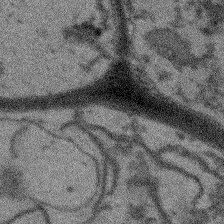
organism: Arabidopsis thaliana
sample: Root tip